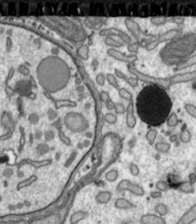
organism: Toxoplasma gondii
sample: Parasites in a vacuole inside a host cell